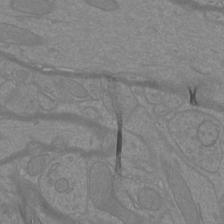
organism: Mouse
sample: Cortical neurons